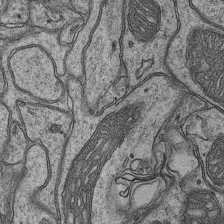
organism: Mouse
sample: CA1 Hippocampus